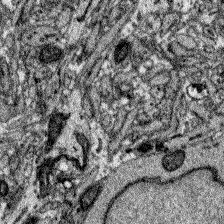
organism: Zebrafish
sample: Larval olfactory bulb